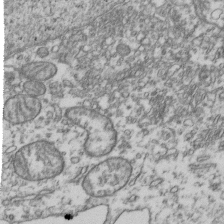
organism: Human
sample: Activated Jurkat CD4+ T cells